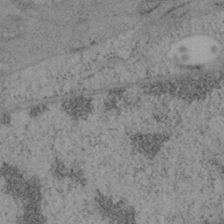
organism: Mouse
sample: OT-I killer T cells with ID8 ovarian cancer cells